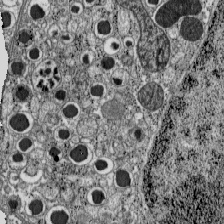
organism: C57BL Mouse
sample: Pancreatic islet